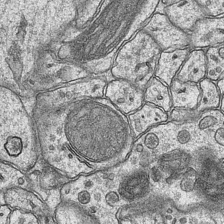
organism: Mouse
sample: CA1 Hippocampus